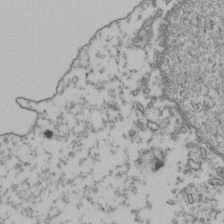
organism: Human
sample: Activated Jurkat CD4+ T cells